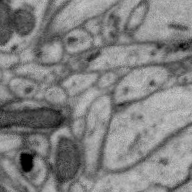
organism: Zebra finch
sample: Brain